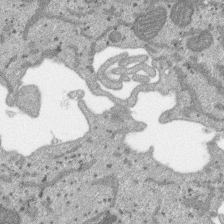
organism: Human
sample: Lung epithelial cells infected with SARS-CoV-2